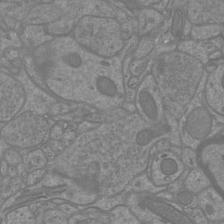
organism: Mouse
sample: Cortical neurons